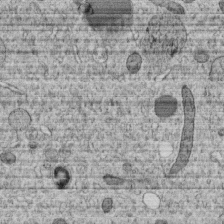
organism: C. elegans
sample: C. elegans embryo early stage